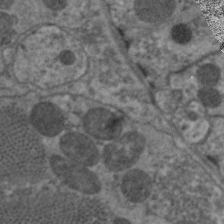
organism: C. elegans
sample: Pharynx